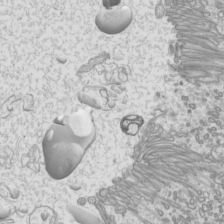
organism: Mouse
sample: Cilia; mouse epididymis